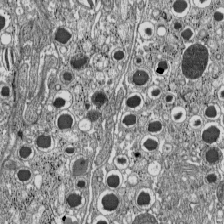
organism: C57BL Mouse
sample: Pancreatic islet